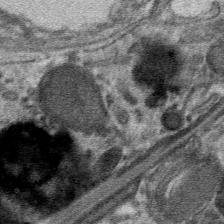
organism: Mouse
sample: Mouse hepatocytes